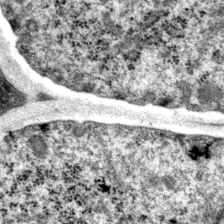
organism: P. pacificus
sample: Pharynx